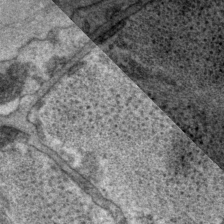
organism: P. pacificus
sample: Pharynx